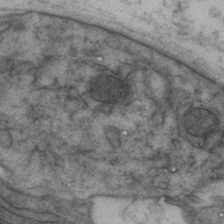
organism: Zebrafish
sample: Zebrafish embryo